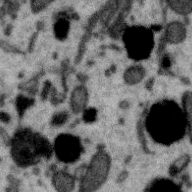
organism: Zebra finch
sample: Brain